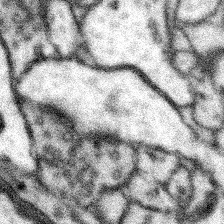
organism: Mouse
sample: Somatosensory cortex neuropil